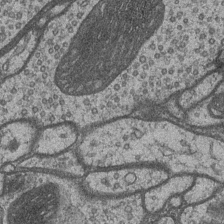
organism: Drosophila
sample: Optic medulla